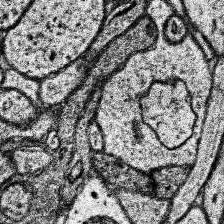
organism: Human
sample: Temporal Lobe